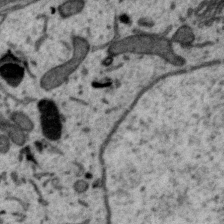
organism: Zebra finch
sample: Brain